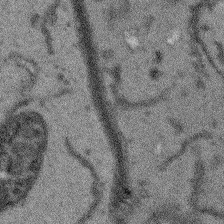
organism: Arabidopsis thaliana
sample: Root tip